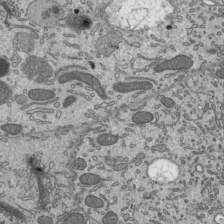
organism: Mouse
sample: Mouse epididymis efferent ductule cilia